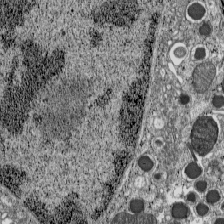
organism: C57BL Mouse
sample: Pancreatic islet